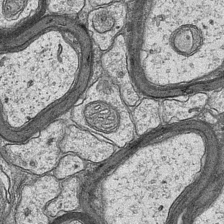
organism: Mouse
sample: CA1 Hippocampus